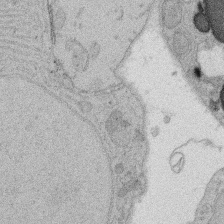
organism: Rat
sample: Salivary granule